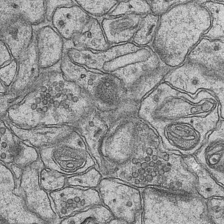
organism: Mouse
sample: CA1 Hippocampus